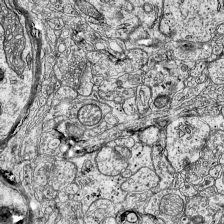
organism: Mouse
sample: Visual Cortex